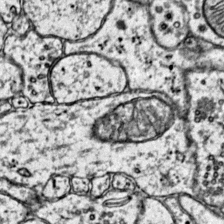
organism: Mouse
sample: Primary visual cortex